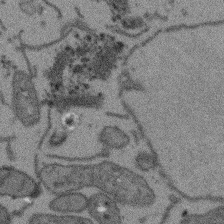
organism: Arabidopsis thaliana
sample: Root tip